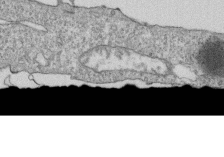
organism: Human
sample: HeLa cell HIV synapse